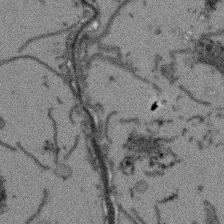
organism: Arabidopsis thaliana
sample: Root tip